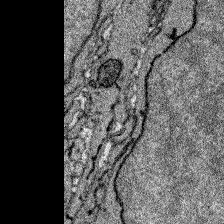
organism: Zebrafish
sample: Larval olfactory bulb